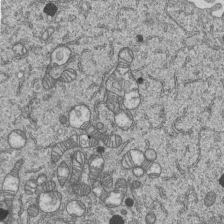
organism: Human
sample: MDA-MB-231 cells